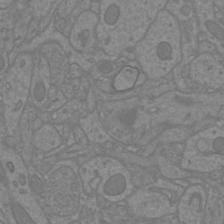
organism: Mouse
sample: Cortical neurons